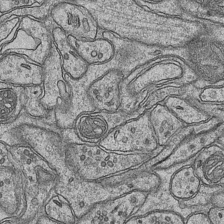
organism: Mouse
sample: CA1 Hippocampus